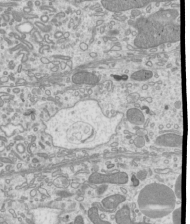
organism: Mouse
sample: Cilia; mouse epididymis